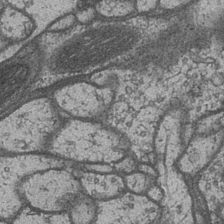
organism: Drosophila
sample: Optic medulla